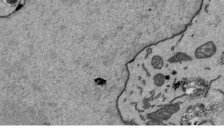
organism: Mouse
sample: ED-1 cell nuclei; centrioles